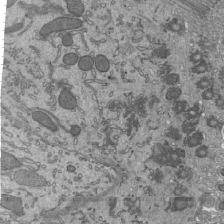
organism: Mouse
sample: Mouse epididymis efferent ductule cilia